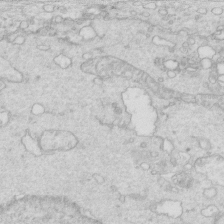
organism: Mouse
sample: Multiciliated cells